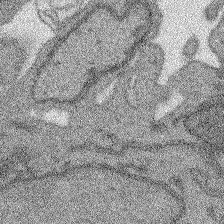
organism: Human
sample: HeLa cells